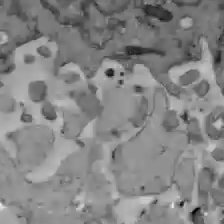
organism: C57BL Mouse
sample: Liver